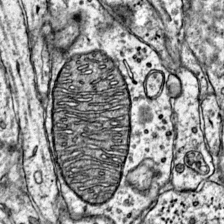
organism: Mouse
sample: Primary visual cortex